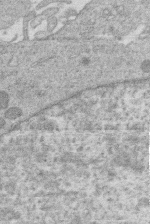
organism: Human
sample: Macrophage cells